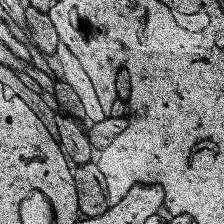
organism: Human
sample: Temporal Lobe